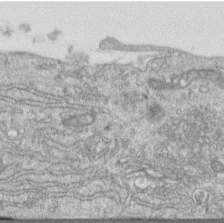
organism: Human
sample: Centriole in RPE cells